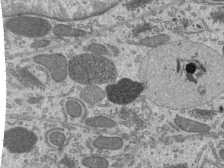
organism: Mouse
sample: Mouse epididymis efferent ductule cilia